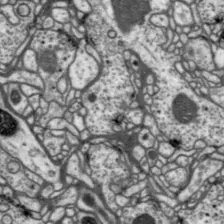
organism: Drosophila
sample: Protocerebral bridge